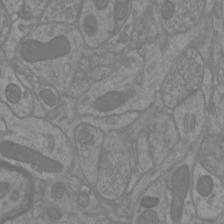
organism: Mouse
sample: Cortical neurons